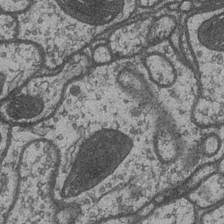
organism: Drosophila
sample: Optic medulla